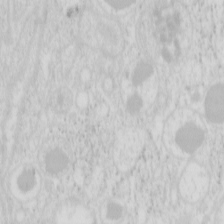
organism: Mouse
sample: Pancreas